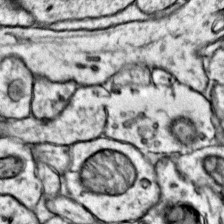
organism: Mouse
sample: Primary visual cortex